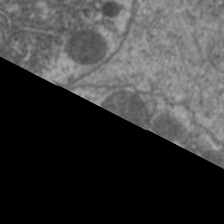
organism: C. elegans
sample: Pharynx